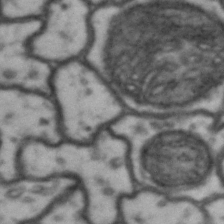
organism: Drosophila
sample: Brain